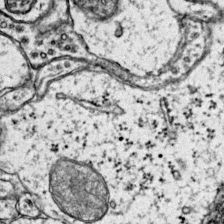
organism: Mouse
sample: Primary visual cortex